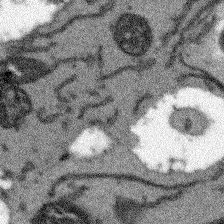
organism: Arabidopsis thaliana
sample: Root tip